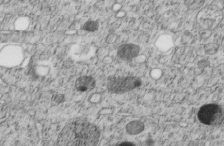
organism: C. elegans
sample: C. elegans embryo early stage